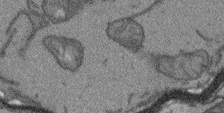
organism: Arabidopsis thaliana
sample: Root tip